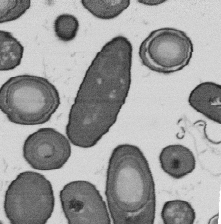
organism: B. subtilis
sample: Bacterial spore